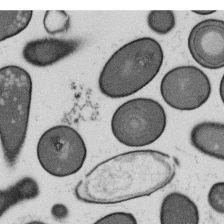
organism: B. subtilis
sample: Bacterial spore